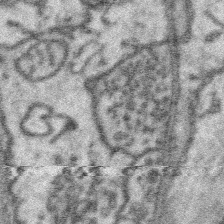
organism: Platynereis dumerilii